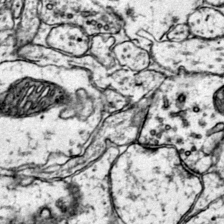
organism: Mouse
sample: Primary visual cortex